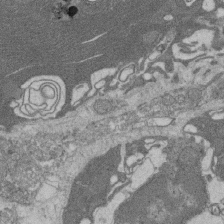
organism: Rat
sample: Salivary granule